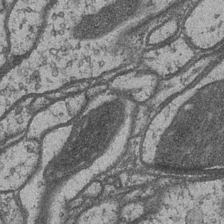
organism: Drosophila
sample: Optic medulla